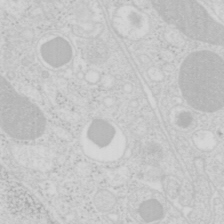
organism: Mouse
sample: Pancreas